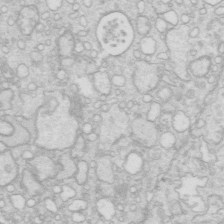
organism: Mouse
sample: Multiciliated cells